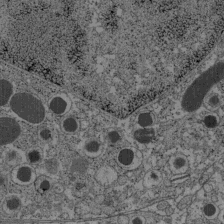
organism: C57BL Mouse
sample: Pancreatic islet